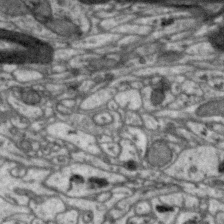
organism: Zebra finch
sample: Brain